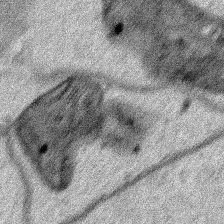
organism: Human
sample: Mitochondria in HCT116 cells